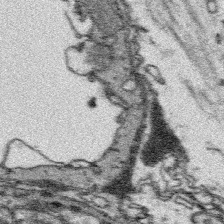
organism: Platynereis dumerilii